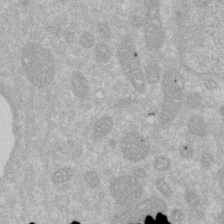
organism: Human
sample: HIV infected U937 cells